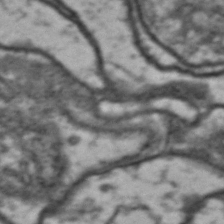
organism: Drosophila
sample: Brain